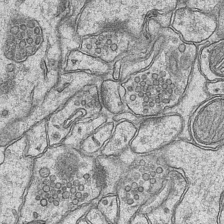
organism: Mouse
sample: CA1 Hippocampus